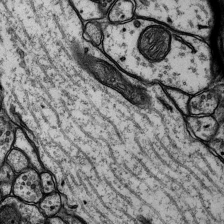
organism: Rat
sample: Hippocampus